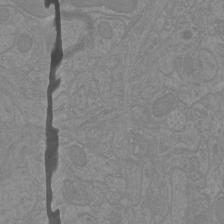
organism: Mouse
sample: Cortical neurons